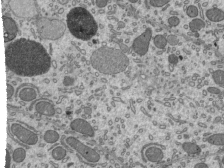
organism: Mouse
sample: Mouse epididymis efferent ductule cilia